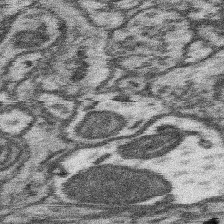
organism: Mouse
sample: Somatosensory cortex neuropil